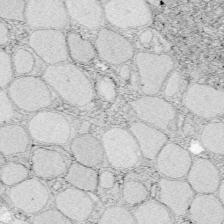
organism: Zebrafish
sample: Whole-Brain